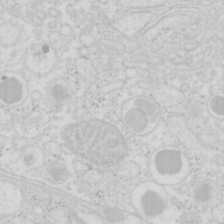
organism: Mouse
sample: Pancreas